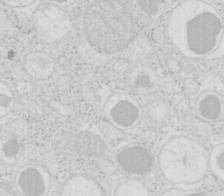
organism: Mouse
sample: Pancreas